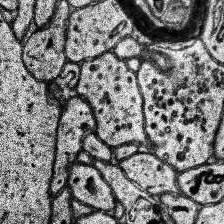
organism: Human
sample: Temporal Lobe